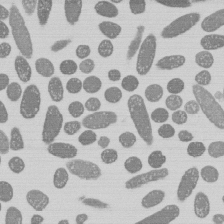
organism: E. coli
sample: Bacterial nucleoid